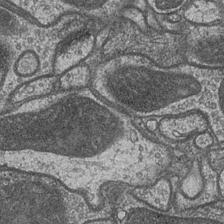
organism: Drosophila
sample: Optic medulla